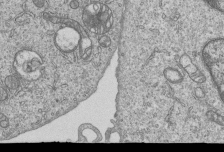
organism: Human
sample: MDA-MB-231 cells